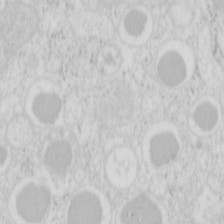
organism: Mouse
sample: Pancreas